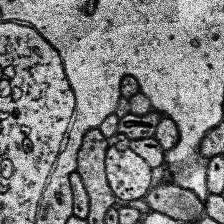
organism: Human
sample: Temporal Lobe